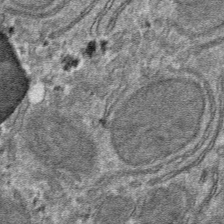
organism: Mouse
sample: Mouse hepatocytes